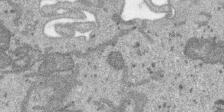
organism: Human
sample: Lung epithelial cells infected with SARS-CoV-2